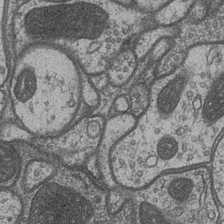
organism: Drosophila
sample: Optic medulla